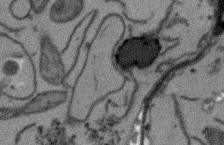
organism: Arabidopsis thaliana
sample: Root tip